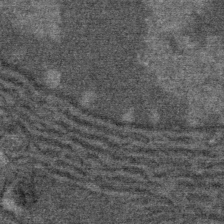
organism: Mouse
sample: Mouse Salivary gland